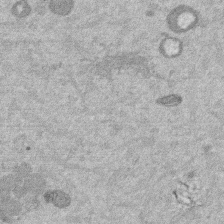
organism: Mouse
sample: Dividing mouse embryo 1 cell stage